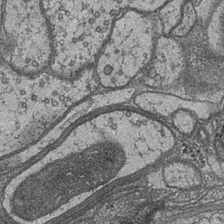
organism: Drosophila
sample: Optic medulla